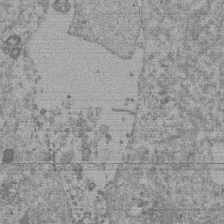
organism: Mouse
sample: Dividing mouse embryo 1 cell stage